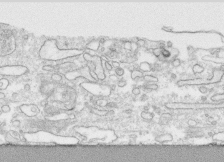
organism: Human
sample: CRL-1474